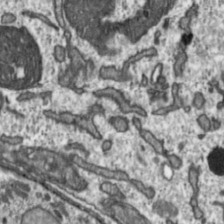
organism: Toxoplasma gondii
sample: Parasites in a vacuole inside a host cell